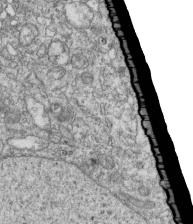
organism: Human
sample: HeLa cell HIV synapse